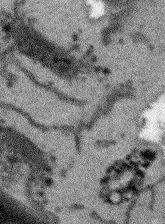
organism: Arabidopsis thaliana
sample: Root tip